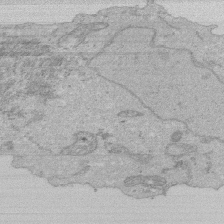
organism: Human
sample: Activated Jurkat CD4+ T cells